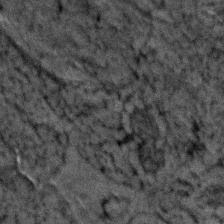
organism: Zebrafish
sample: Zebrafish embryo